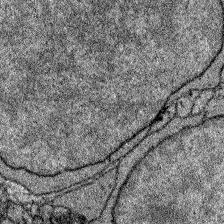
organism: Zebrafish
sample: Larval olfactory bulb